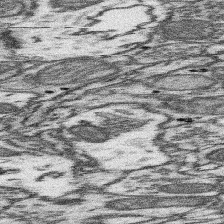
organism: Mouse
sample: Somatosensory cortex neuropil